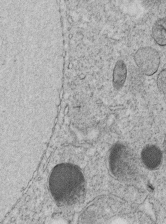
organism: C. elegans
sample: C. elegans embryo early stage